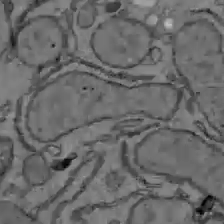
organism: C57BL Mouse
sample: Liver